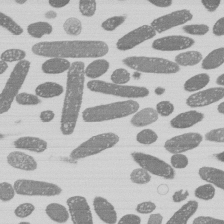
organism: E. coli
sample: Bacterial nucleoid